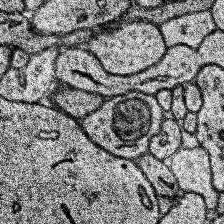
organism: Human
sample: Temporal Lobe